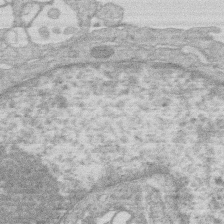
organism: Human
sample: Macrophage cells